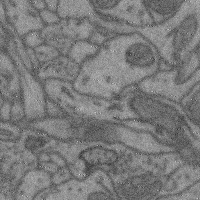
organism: Mouse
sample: Cerebral cortex